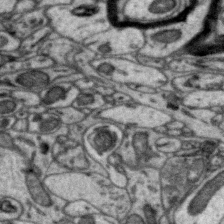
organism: Zebra finch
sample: Brain